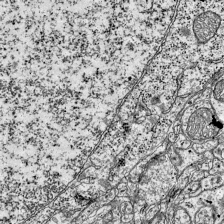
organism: Mouse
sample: Visual Cortex